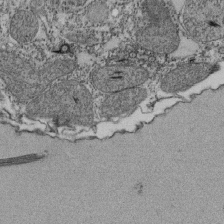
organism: Tetrahymena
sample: Cilia in tetrahymena